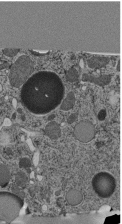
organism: C. elegans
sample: C. elegans pharynx